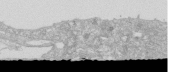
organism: Human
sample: Caco-2 cells